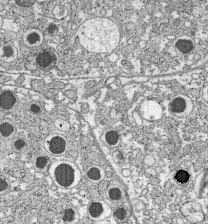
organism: C57BL Mouse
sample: Pancreatic islet